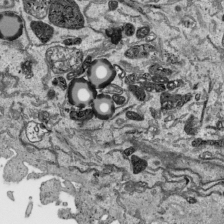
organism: Human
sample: Mitochondria in HCT116 cells